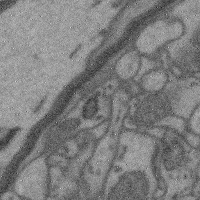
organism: Mouse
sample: Cerebral cortex